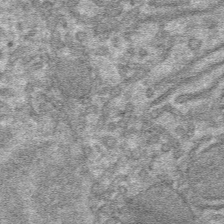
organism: Mouse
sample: Mouse hepatocytes